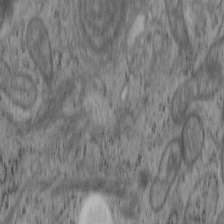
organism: Human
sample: HeLa cells